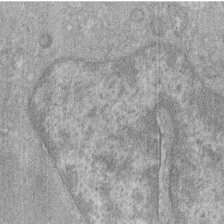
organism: Human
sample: Macrophage cells